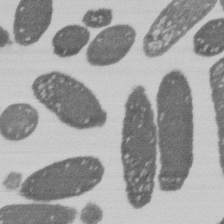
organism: E. coli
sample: Bacterial nucleoid